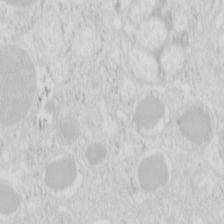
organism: Mouse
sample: Pancreas